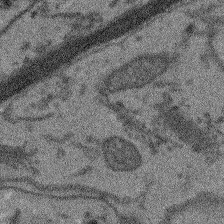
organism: Arabidopsis thaliana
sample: Root tip